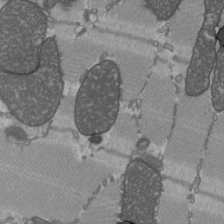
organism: C57BL Mouse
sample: Heart